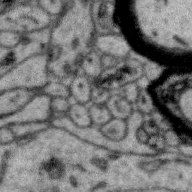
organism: Zebra finch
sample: Brain